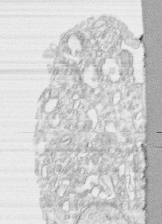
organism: Human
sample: CRL-1474